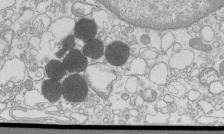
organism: Mouse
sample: Macrophages